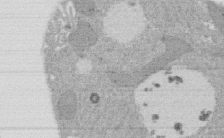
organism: Rat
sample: Salivary granule